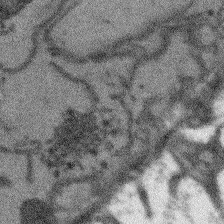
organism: Arabidopsis thaliana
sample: Root tip